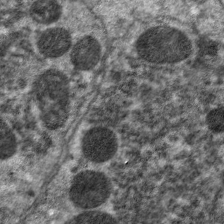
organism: C. elegans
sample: Pharynx